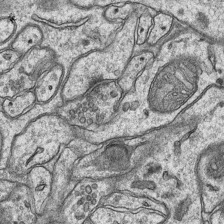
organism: Mouse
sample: CA1 Hippocampus